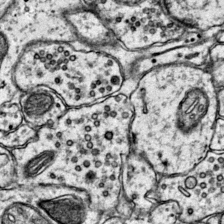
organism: Mouse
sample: Primary visual cortex